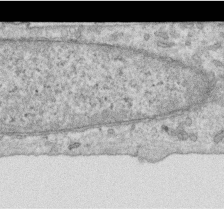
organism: Human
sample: Centriole in RPE cells